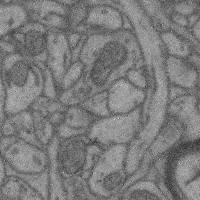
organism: Mouse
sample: Cerebral cortex